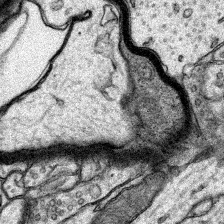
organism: Rat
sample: Hippocampus